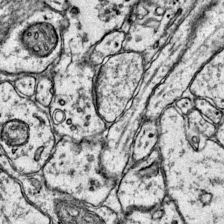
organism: Mouse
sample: Primary visual cortex